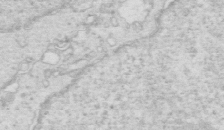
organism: Mouse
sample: Multiciliated cells